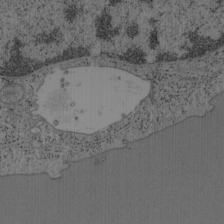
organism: Mouse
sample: OT-I killer T cells with ID8 ovarian cancer cells